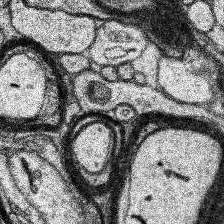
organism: Human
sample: Temporal Lobe